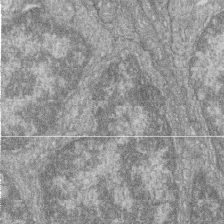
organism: Zebrafish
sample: Cilia; retinal pigment epithelium